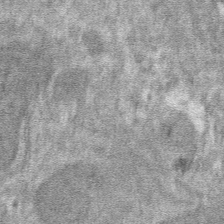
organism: Mouse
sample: Mouse hepatocytes